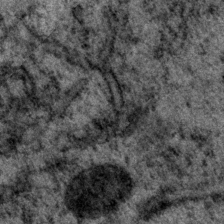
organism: P. pacificus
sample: Pharynx